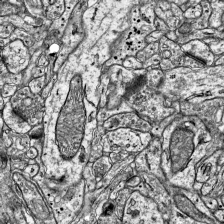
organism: Mouse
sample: Visual Cortex